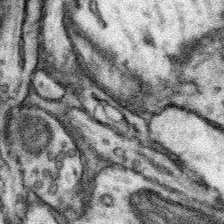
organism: Mouse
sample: Somatosensory cortex neuropil